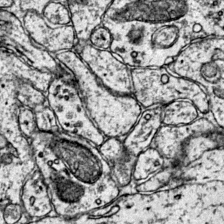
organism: Mouse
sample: Primary visual cortex